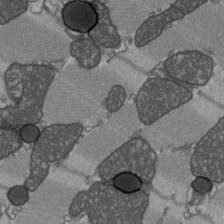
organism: C57BL Mouse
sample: Heart